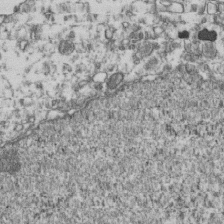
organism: Human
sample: Activated Jurkat CD4+ T cells